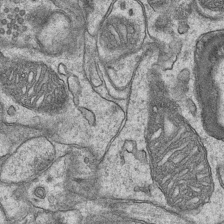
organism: Mouse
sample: CA1 Hippocampus